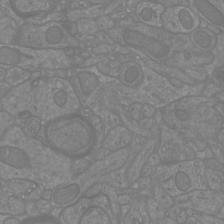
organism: Mouse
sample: Cortical neurons